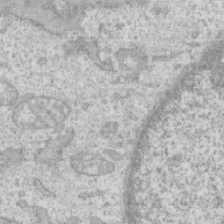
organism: Human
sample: CRL-1474